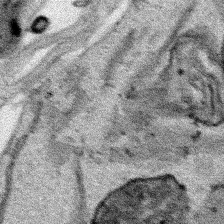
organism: Human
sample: Mitochondria in HCT116 cells